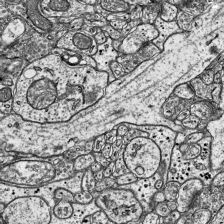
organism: Mouse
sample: Visual Cortex